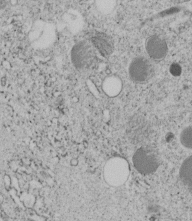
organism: C. elegans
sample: C. elegans embryo early stage